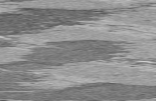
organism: C57BL Mouse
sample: Heart